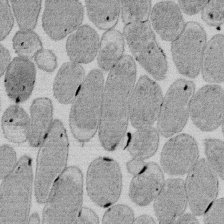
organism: E. coli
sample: Bacterial nucleoid